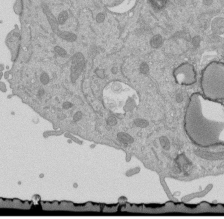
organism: Mouse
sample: ED-1 cell nuclei; centrioles